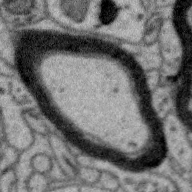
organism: Zebra finch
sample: Brain